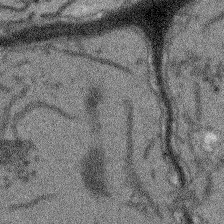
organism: Arabidopsis thaliana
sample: Root tip